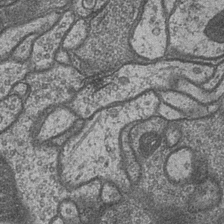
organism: Drosophila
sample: Optic medulla